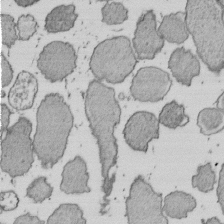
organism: E. coli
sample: Bacterial nucleoid